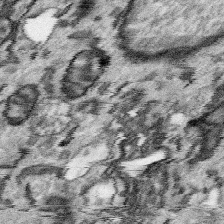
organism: Human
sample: HeLa cells